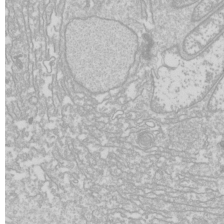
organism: Drosophila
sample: Cell division; meiosis; drosophila spermatocytes